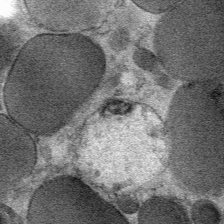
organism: Mouse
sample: Mouse Salivary gland